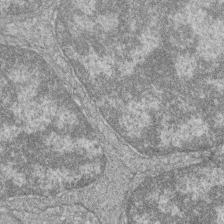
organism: Zebrafish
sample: Cilia; retinal pigment epithelium